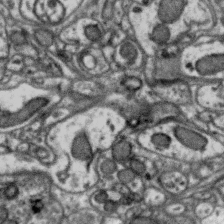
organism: Zebra finch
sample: Brain